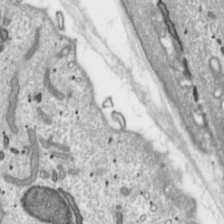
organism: Toxoplasma gondii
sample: Parasites in a vacuole inside a host cell